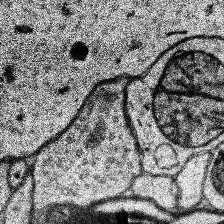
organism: Human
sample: Temporal Lobe